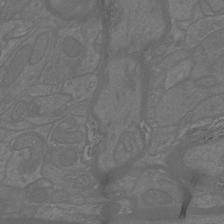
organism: Mouse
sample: Cortical neurons